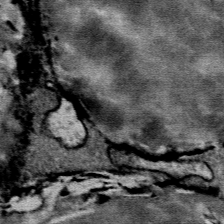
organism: Mouse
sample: Mouse Salivary gland